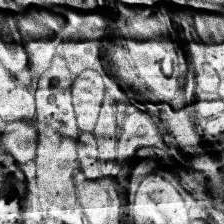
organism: Human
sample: Temporal Lobe